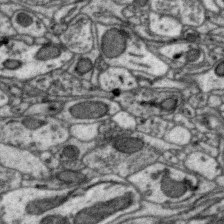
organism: Zebra finch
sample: Brain